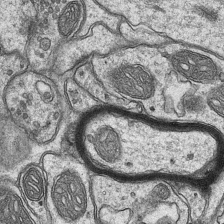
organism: Mouse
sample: CA1 Hippocampus